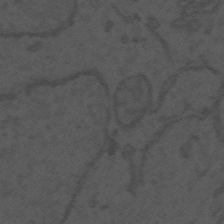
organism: Mouse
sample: Suprachiasmatic nucleus